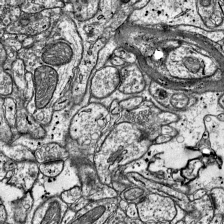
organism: Mouse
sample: Visual Cortex